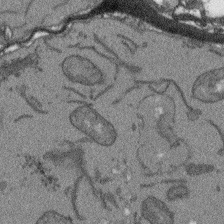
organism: Arabidopsis thaliana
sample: Root tip